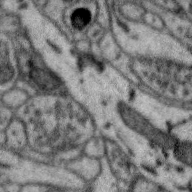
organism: Zebra finch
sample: Brain